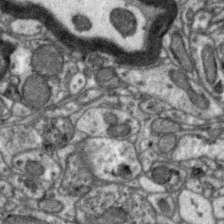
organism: Zebra finch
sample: Brain